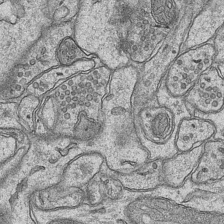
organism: Mouse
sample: CA1 Hippocampus